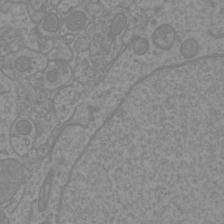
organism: Mouse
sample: Cortical neurons